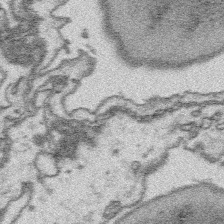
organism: Platynereis dumerilii